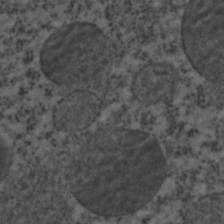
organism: C. elegans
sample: C. elegans embryo